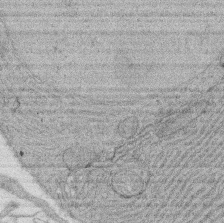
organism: Rat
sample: Salivary granule